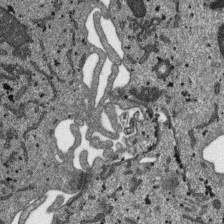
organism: Human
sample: Lung epithelial cells infected with SARS-CoV-2